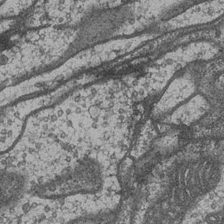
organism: Drosophila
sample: Optic medulla